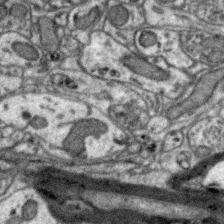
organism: Zebra finch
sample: Brain